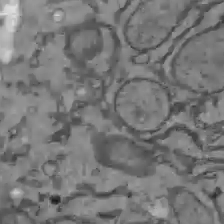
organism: C57BL Mouse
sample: Liver